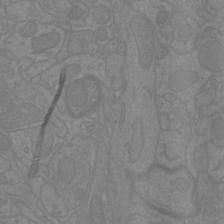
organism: Mouse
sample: Cortical neurons